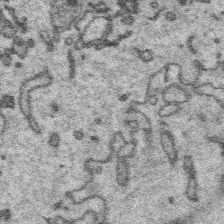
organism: Platynereis dumerilii